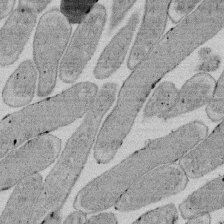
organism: E. coli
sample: Bacterial nucleoid